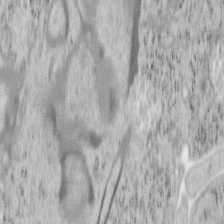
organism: Human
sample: HeLa cells